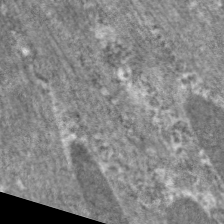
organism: C. elegans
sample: Pharynx